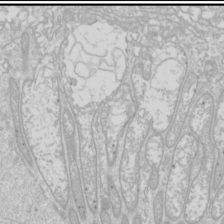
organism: Drosophila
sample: Cell division; meiosis; drosophila spermatocytes